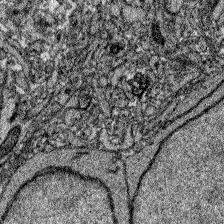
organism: Zebrafish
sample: Larval olfactory bulb